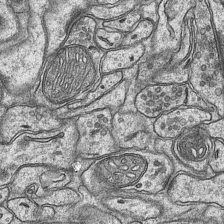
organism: Mouse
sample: CA1 Hippocampus